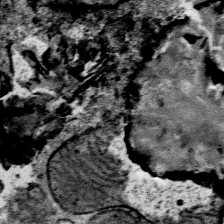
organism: Mouse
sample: Mouse Salivary gland